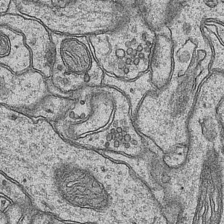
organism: Mouse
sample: CA1 Hippocampus